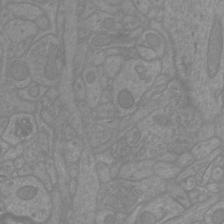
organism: Mouse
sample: Cortical neurons